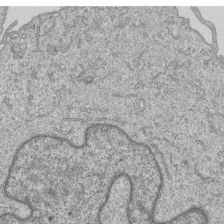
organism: Human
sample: MDA-MB-231 cells